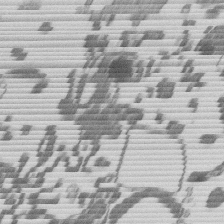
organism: Mouse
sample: Dividing mouse embryo 1 cell stage